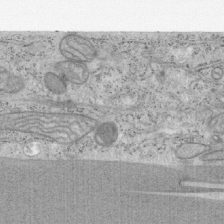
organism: Human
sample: HeLa cells